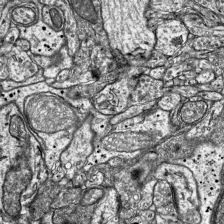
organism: Mouse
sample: Visual Cortex